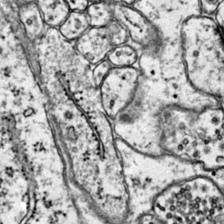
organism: Mouse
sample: Primary visual cortex